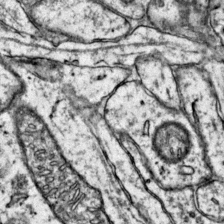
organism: Mouse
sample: Primary visual cortex